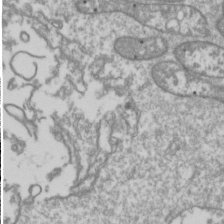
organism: Drosophila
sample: Cell division; meiosis; drosophila spermatocytes